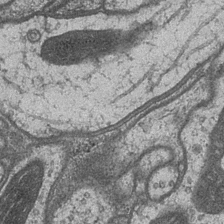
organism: Drosophila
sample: Optic medulla